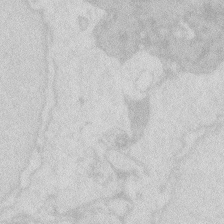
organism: Zebrafish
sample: Macrophage